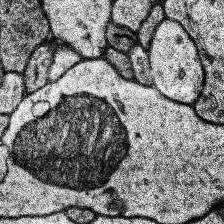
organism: Human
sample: Temporal Lobe